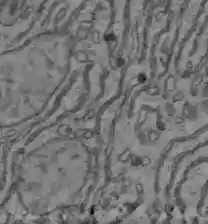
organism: C57BL Mouse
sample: Liver